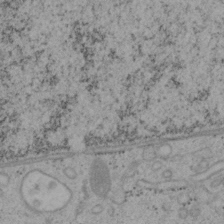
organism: Human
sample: HeLa cells